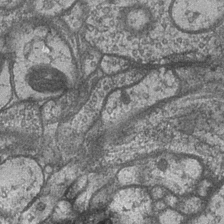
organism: Drosophila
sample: Optic medulla